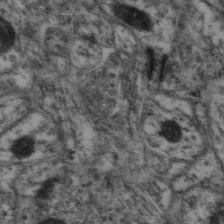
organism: Mouse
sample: Neocortex